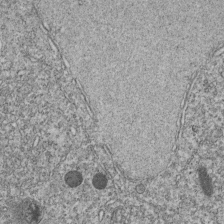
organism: C. elegans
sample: C. elegans embryo early stage